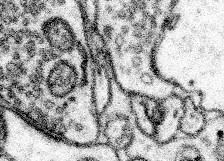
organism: Mouse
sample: Somatosensory cortex neuropil